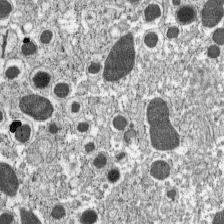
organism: C57BL Mouse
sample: Pancreatic islet